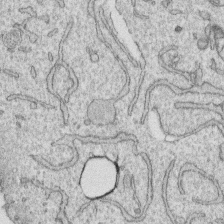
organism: Human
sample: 1205lu cells